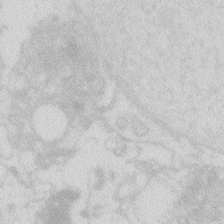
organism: Zebrafish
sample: Macrophage